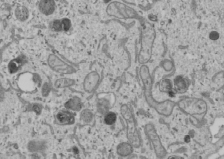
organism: Human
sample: Mitochondria in U2OS cells